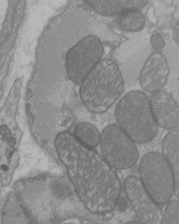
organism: C57BL Mouse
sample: Heart